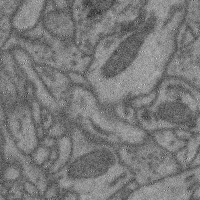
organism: Mouse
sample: Cerebral cortex